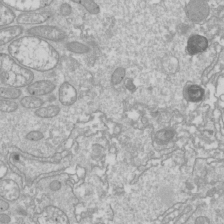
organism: Drosophila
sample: Cell division; meiosis; drosophila spermatocytes